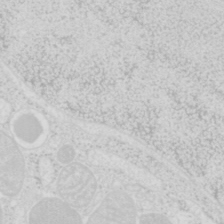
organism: Mouse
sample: Pancreas